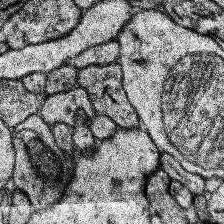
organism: Human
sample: Temporal Lobe